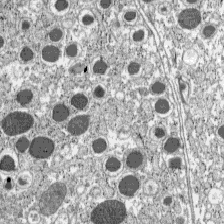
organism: C57BL Mouse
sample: Pancreatic islet